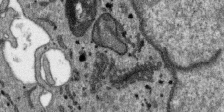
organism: Human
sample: Lung epithelial cells, uninfected (mock) control